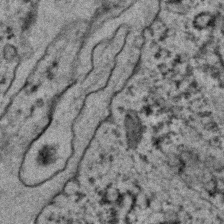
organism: C. elegans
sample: C. elegans embryo